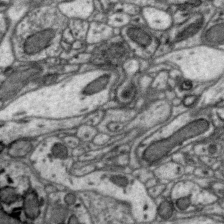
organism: Zebra finch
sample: Brain